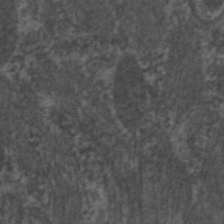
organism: C. elegans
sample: Pharynx